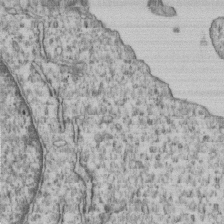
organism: Human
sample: MDA-MB-231 cells